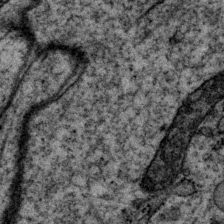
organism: P. pacificus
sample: Pharynx